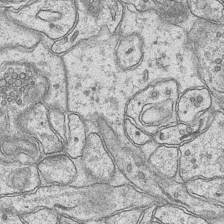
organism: Mouse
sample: CA1 Hippocampus